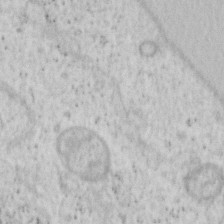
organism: Human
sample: HeLa cells